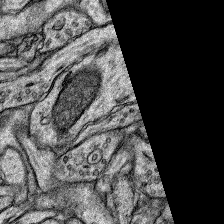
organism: Rat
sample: Hippocampus